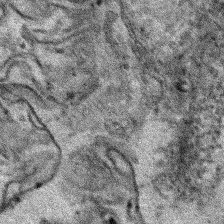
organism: Human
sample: Mitochondria in HCT116 cells